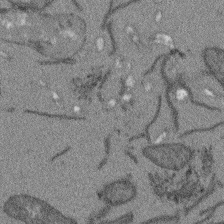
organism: Arabidopsis thaliana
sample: Root tip